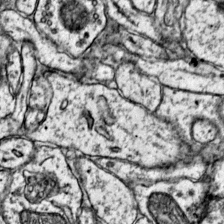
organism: Mouse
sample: Primary visual cortex